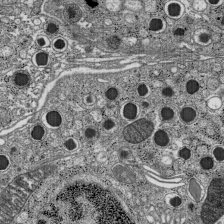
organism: C57BL Mouse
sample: Pancreatic islet